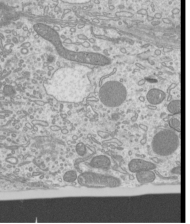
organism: Mouse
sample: Cilia; mouse epididymis